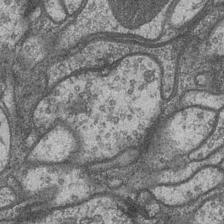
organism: Drosophila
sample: Optic medulla